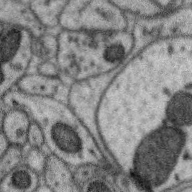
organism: Zebra finch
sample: Brain